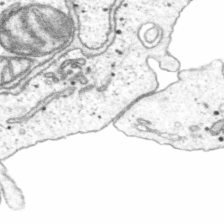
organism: Human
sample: HeLa cells